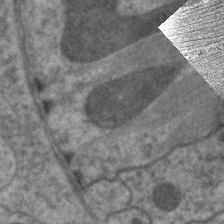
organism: C. elegans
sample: Pharynx